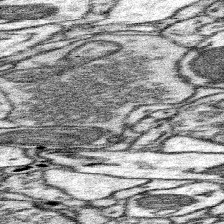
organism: Mouse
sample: Somatosensory cortex neuropil